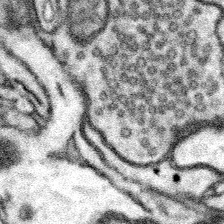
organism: Mouse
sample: Somatosensory cortex neuropil